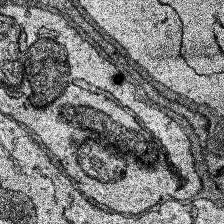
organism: Human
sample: Temporal Lobe